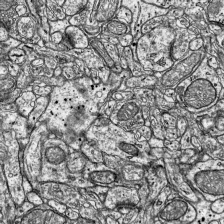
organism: Mouse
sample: Visual Cortex